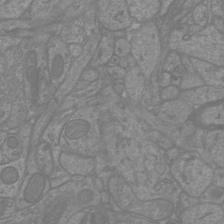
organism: Mouse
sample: Cortical neurons